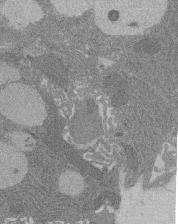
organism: Rat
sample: Salivary granule